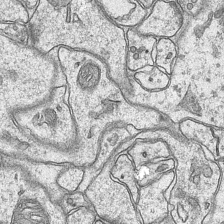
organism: Mouse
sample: CA1 Hippocampus